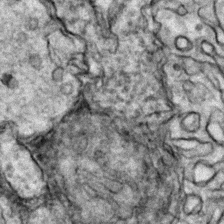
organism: Zebrafish